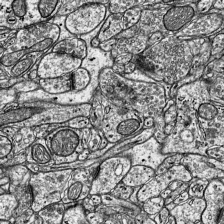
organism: Mouse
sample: Visual Cortex